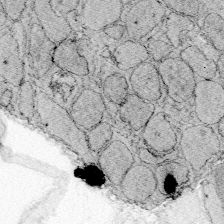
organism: Zebrafish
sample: Whole-Brain